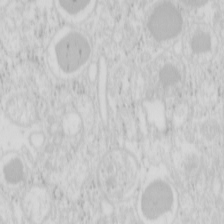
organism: Mouse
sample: Pancreas